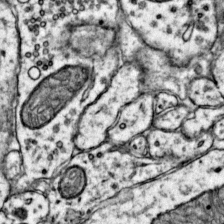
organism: Mouse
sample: Primary visual cortex